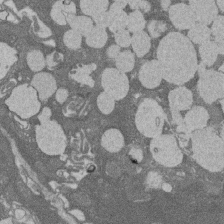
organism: Rat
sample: Salivary granule